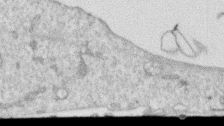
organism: Human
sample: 1205lu cells